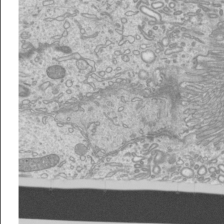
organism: Mouse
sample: Cilia; mouse epididymis